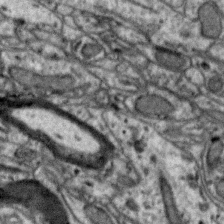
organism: Zebra finch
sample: Brain